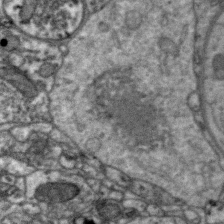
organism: Zebra finch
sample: Brain